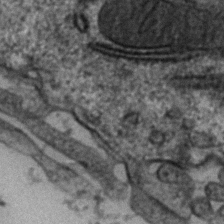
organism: Zebrafish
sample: Zebrafish embryo